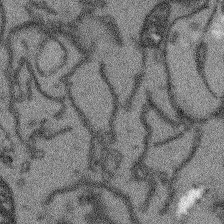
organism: Arabidopsis thaliana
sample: Root tip